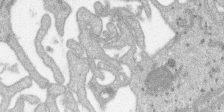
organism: Human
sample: Lung epithelial cells infected with SARS-CoV-2